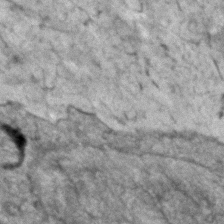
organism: Human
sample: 1205lu cells